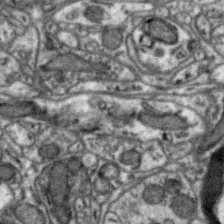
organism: Zebra finch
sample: Brain